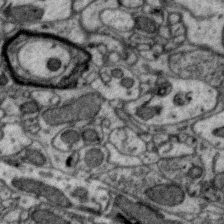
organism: Zebra finch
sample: Brain